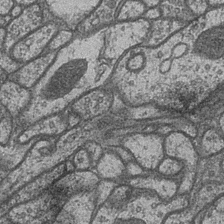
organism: Drosophila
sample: Optic medulla